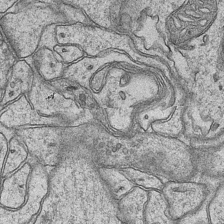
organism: Mouse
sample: CA1 Hippocampus